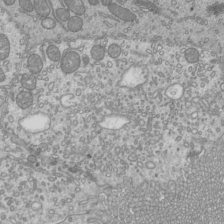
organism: Mouse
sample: Cilia; mouse epididymis